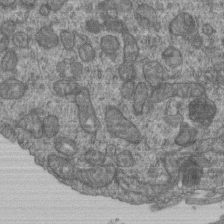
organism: Human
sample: Retinal organoid Rod and Cone cells